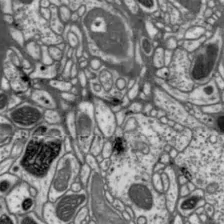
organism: Drosophila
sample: Protocerebral bridge